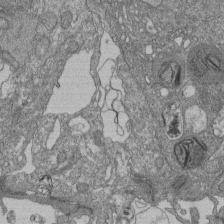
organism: Human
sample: Retinal organoid Rod and Cone cells